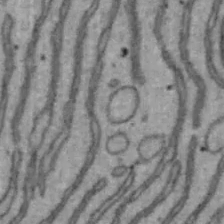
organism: Mouse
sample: Liver